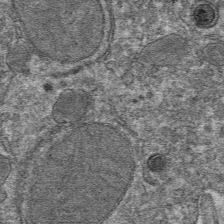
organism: Mouse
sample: Mouse hepatocytes